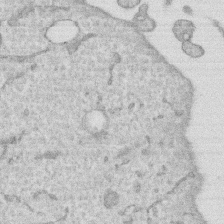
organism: Human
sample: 1205lu cells